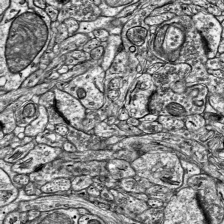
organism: Mouse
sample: Visual Cortex